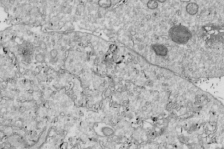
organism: Drosophila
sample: Cell division; meiosis; drosophila spermatocytes